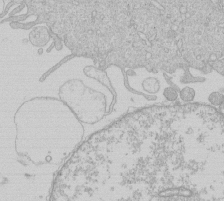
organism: Human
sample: Macrophage cells